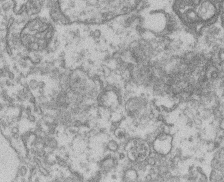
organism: Mouse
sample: T cell stromal cell synapse